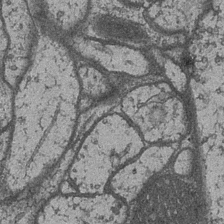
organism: Drosophila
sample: Optic medulla